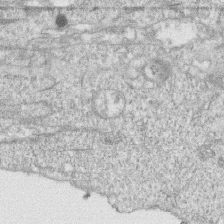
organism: Human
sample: HeLa cell HIV synapse